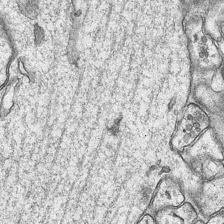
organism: Mouse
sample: CA1 Hippocampus